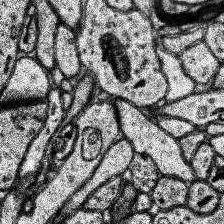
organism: Human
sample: Temporal Lobe